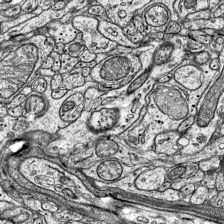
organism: Mouse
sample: Visual Cortex